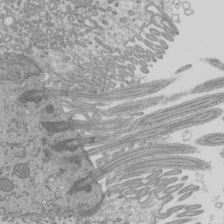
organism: Mouse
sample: Cilia; mouse epididymis